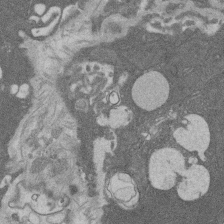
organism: Rat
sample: Salivary granule